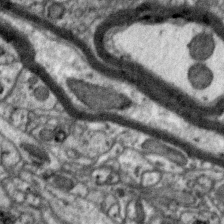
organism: Zebra finch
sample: Brain